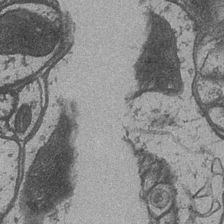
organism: Drosophila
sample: Optic medulla